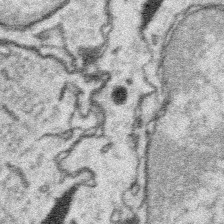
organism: Platynereis dumerilii